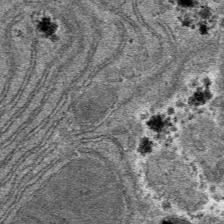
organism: Mouse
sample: Mouse hepatocytes